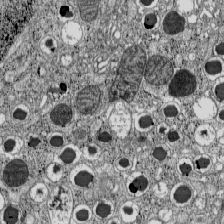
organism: C57BL Mouse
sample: Pancreatic islet